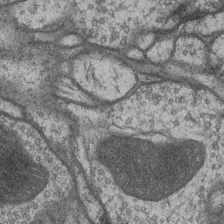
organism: Drosophila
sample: Optic medulla